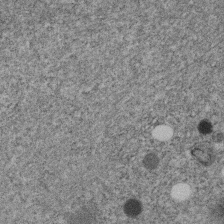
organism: C. elegans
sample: C. elegans embryo early stage